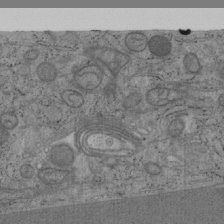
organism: Human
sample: HeLa cells